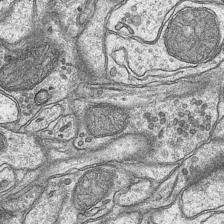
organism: Mouse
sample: CA1 Hippocampus